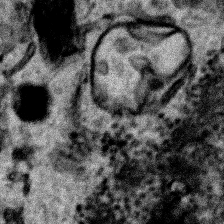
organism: Human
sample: Mitochondria in HCT116 cells